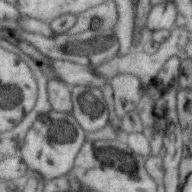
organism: Zebra finch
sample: Brain